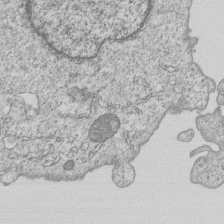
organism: Human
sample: MDA-MB-231 cells